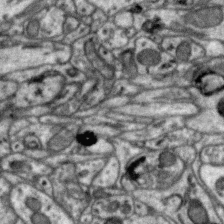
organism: Zebra finch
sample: Brain